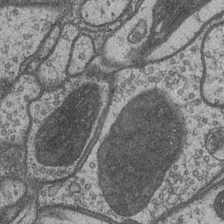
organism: Drosophila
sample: Optic medulla